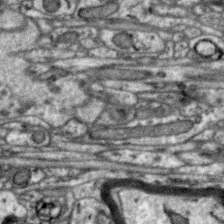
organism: Zebra finch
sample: Brain